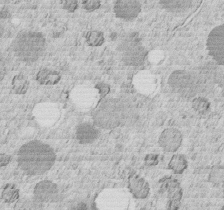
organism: C. elegans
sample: C. elegans embryo early stage